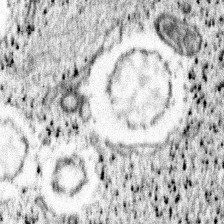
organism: Human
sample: HeLa cells